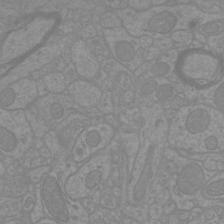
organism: Mouse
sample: Cortical neurons